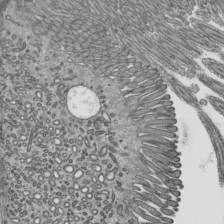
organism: Mouse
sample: Mouse epididymis efferent ductule cilia